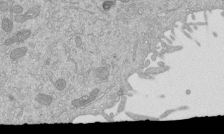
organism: Mouse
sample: ED-1 cell nuclei; centrioles